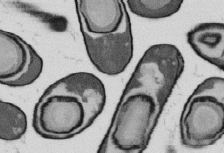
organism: B. subtilis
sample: Bacterial spore